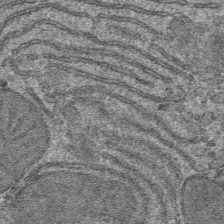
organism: Mouse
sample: Mouse hepatocytes